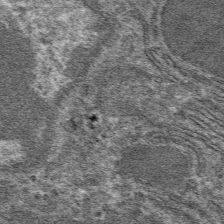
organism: Mouse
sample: Mouse hepatocytes